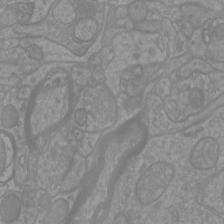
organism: Mouse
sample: Cortical neurons